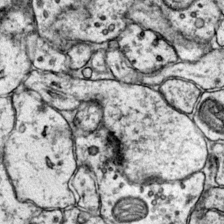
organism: Mouse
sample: Primary visual cortex